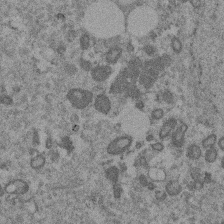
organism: Mouse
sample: Dividing mouse embryo 1 cell stage